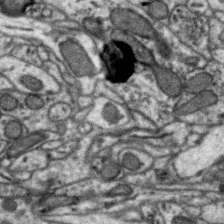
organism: Zebra finch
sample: Brain